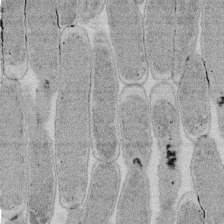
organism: E. coli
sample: Bacterial nucleoid